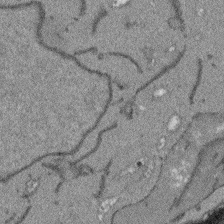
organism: Arabidopsis thaliana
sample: Root tip